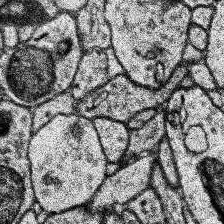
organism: Human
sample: Temporal Lobe